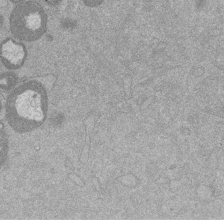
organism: Mouse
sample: Dividing mouse embryo 1 cell stage